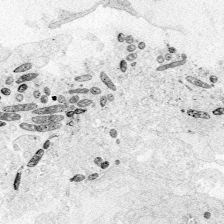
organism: Zebrafish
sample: Whole-Brain